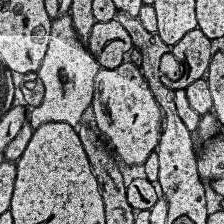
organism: Human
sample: Temporal Lobe